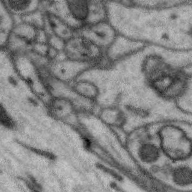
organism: Zebra finch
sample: Brain